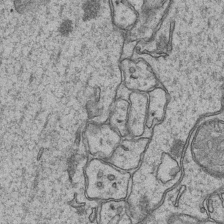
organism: Mouse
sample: CA1 Hippocampus